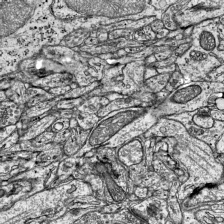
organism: Mouse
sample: Visual Cortex